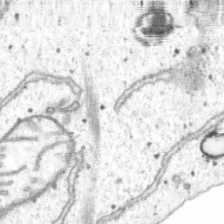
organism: Human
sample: HeLa cells